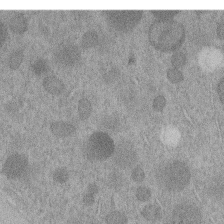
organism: C. elegans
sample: C. elegans embryo early stage